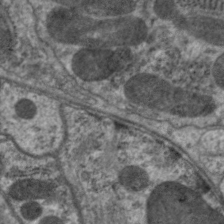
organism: C. elegans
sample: Pharynx